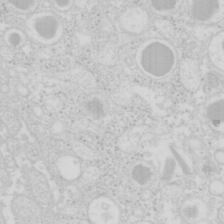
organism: Mouse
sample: Pancreas